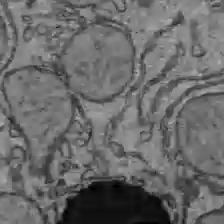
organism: C57BL Mouse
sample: Liver